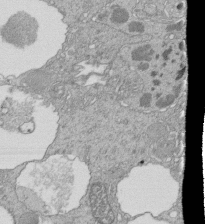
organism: Tetrahymena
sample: Cilia in tetrahymena